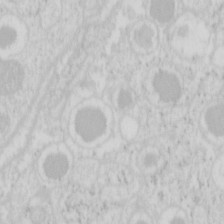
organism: Mouse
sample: Pancreas